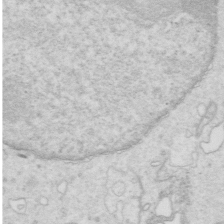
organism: Mouse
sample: Multiciliated cells